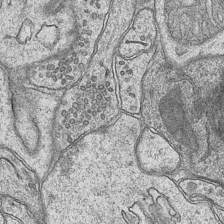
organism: Mouse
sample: CA1 Hippocampus